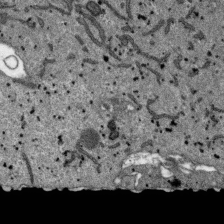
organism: Human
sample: Lung epithelial cells, uninfected (mock) control